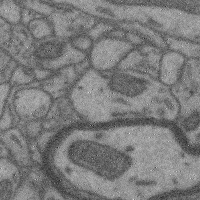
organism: Mouse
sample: Cerebral cortex